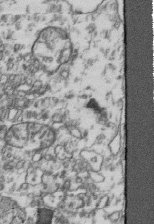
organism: Human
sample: Activated Jurkat CD4+ T cells